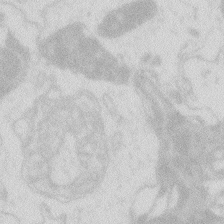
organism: Zebrafish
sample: Macrophage